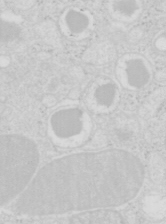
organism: Mouse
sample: Pancreas